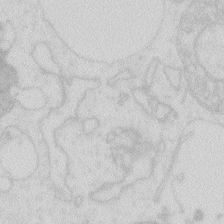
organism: Zebrafish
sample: Macrophage